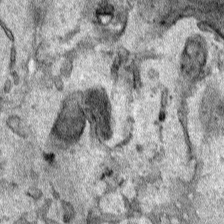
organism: Human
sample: Mitochondria in HCT116 cells